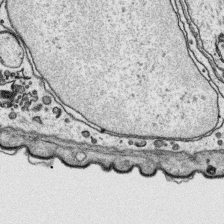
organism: Platynereis dumerilii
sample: Parapodia